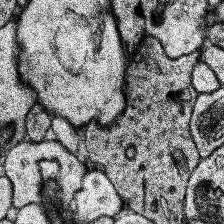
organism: Human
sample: Temporal Lobe